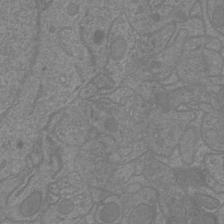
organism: Mouse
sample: Cortical neurons